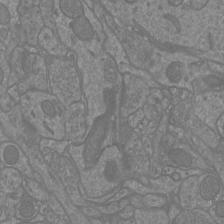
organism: Mouse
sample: Cortical neurons